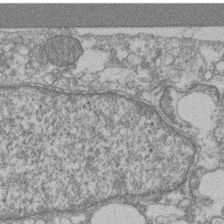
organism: Mouse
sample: T cell stromal cell synapse